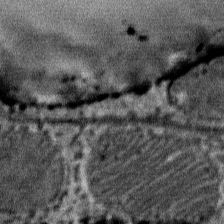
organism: Mouse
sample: Mouse Salivary gland